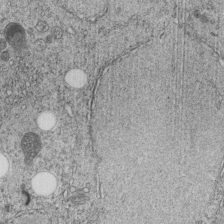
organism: C. elegans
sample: C. elegans embryo early stage